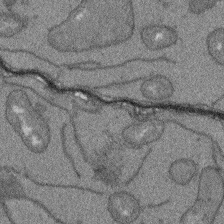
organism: Arabidopsis thaliana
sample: Root tip